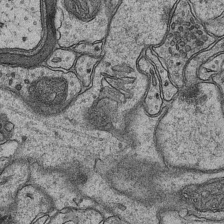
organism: Mouse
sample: CA1 Hippocampus